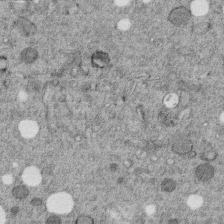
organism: C. elegans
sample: C. elegans embryo early stage